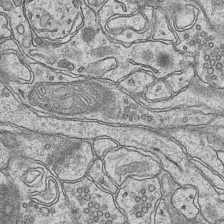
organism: Mouse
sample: CA1 Hippocampus